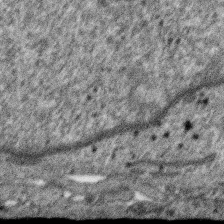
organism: Human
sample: Lung epithelial cells infected with SARS-CoV-2